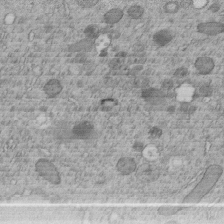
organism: C. elegans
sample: C. elegans embryo early stage